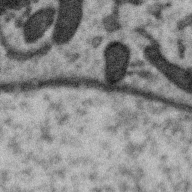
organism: Zebra finch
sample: Brain